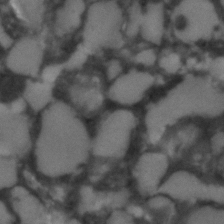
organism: C. elegans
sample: C. elegans embryo